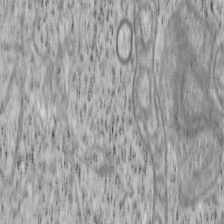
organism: Human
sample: HeLa cells